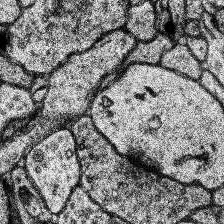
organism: Human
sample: Temporal Lobe